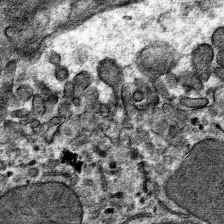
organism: Mouse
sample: Mouse hepatocytes